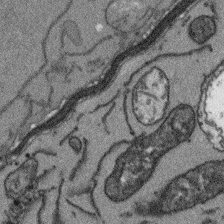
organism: Arabidopsis thaliana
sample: Root tip